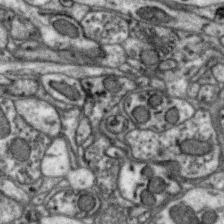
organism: Zebra finch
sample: Brain